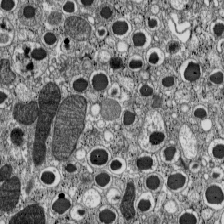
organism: C57BL Mouse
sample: Pancreatic islet